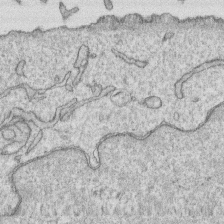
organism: Human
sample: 1205lu cells